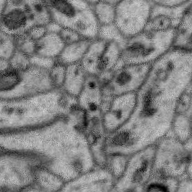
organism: Zebra finch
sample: Brain